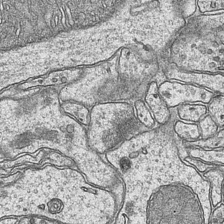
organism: Mouse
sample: CA1 Hippocampus